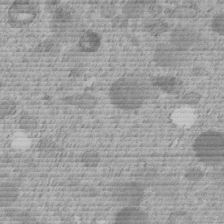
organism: C. elegans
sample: C. elegans embryo early stage